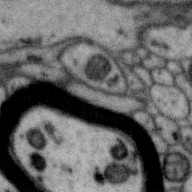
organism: Zebra finch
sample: Brain